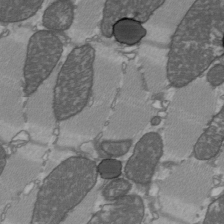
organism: C57BL Mouse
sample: Heart